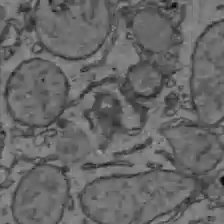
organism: C57BL Mouse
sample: Liver